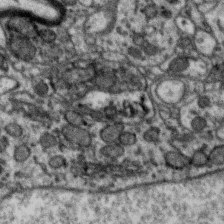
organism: Zebra finch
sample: Brain